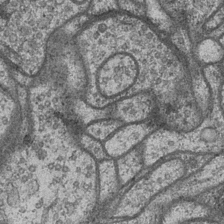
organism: Drosophila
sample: Optic medulla